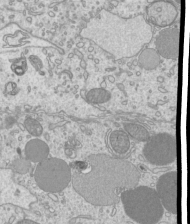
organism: Mouse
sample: Cilia; mouse epididymis